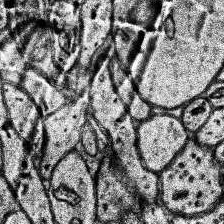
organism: Human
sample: Temporal Lobe